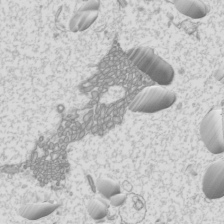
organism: Mouse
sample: Cilia; mouse epididymis